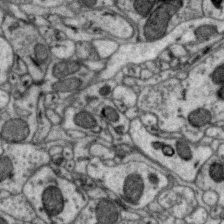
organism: Zebra finch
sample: Brain